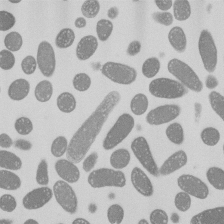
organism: E. coli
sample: Bacterial nucleoid